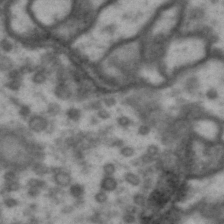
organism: Drosophila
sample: Brain